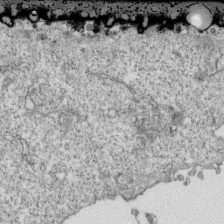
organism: Human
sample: HeLa cell HIV synapse